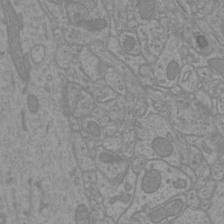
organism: Mouse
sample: Cortical neurons